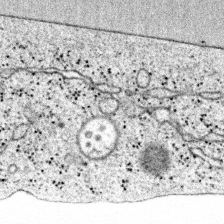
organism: Human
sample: HeLa cells